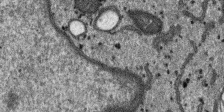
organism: Human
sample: Lung epithelial cells infected with SARS-CoV-2